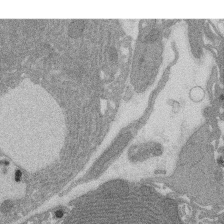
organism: Rat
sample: Salivary granule